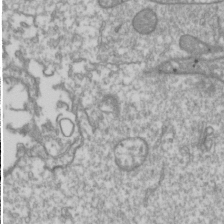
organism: Drosophila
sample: Cell division; meiosis; drosophila spermatocytes